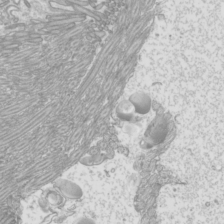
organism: Mouse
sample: Cilia; mouse epididymis